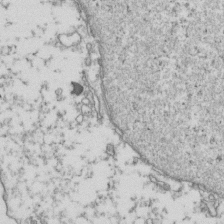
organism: Human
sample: Activated Jurkat CD4+ T cells